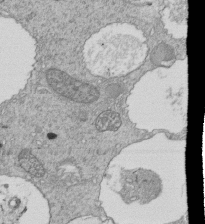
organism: Tetrahymena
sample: Cilia in tetrahymena